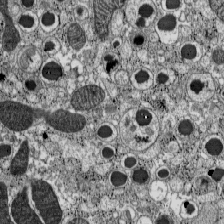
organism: C57BL Mouse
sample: Pancreatic islet